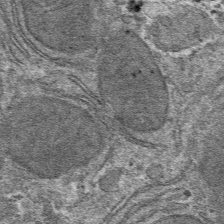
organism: Mouse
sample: Mouse hepatocytes